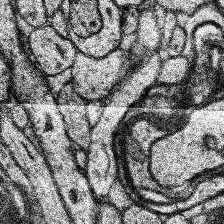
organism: Human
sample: Temporal Lobe